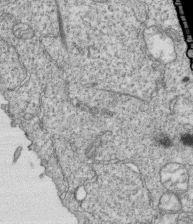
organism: Human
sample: HeLa cell HIV synapse